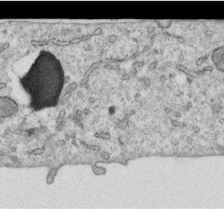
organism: Human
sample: Centriole in RPE cells